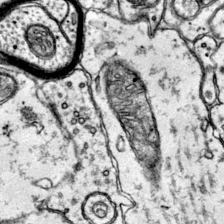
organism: Mouse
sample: Primary visual cortex